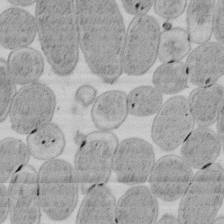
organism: E. coli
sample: Bacterial nucleoid